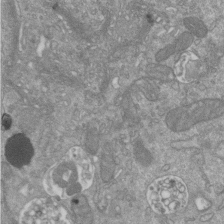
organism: Mouse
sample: ED-1 cell nuclei; centrioles